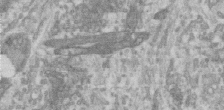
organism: Human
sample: Centriole in RPE cells